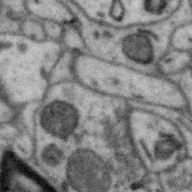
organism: Zebra finch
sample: Brain